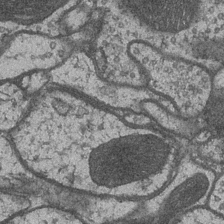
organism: Drosophila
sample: Optic medulla